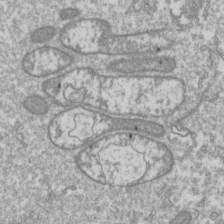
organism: Drosophila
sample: Cell division; meiosis; drosophila spermatocytes